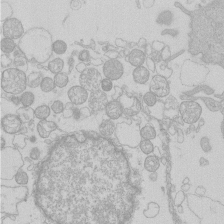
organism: Human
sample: Macrophage cells